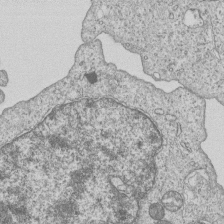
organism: Human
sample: MDA-MB-231 cells